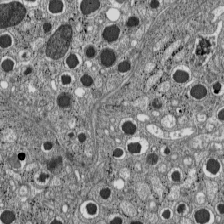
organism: C57BL Mouse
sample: Pancreatic islet